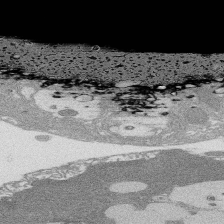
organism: Rat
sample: Salivary granule